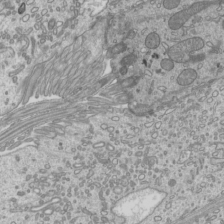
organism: Mouse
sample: Cilia; mouse epididymis